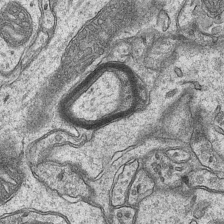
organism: Mouse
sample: CA1 Hippocampus